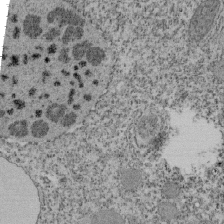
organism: Tetrahymena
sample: Cilia in tetrahymena